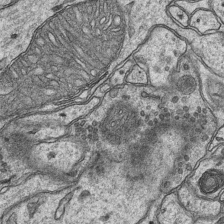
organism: Mouse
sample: CA1 Hippocampus